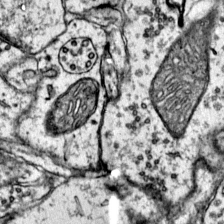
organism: Mouse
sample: Primary visual cortex